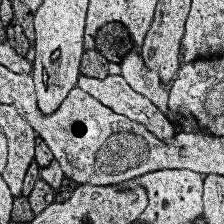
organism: Human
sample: Temporal Lobe